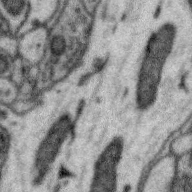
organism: Zebra finch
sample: Brain